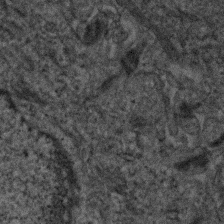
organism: Human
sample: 1205lu cells